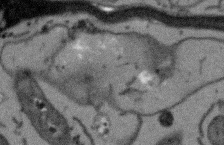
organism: Arabidopsis thaliana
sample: Root tip